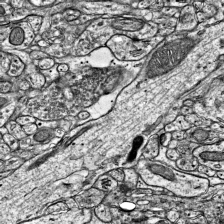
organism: Mouse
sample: Visual Cortex